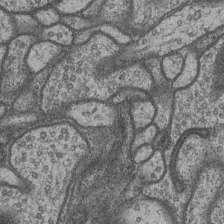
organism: Drosophila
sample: Optic medulla